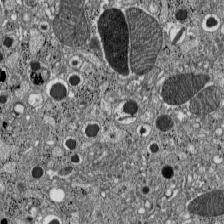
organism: C57BL Mouse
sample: Pancreatic islet